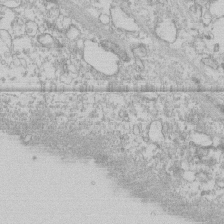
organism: Human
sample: CRL-1474